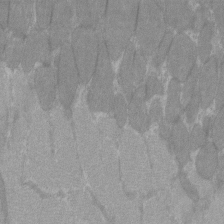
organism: C57BL Mouse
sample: Tibialis anterior muscle cell